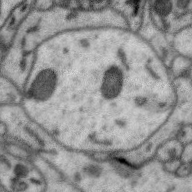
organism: Zebra finch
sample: Brain